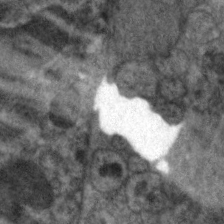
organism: C. elegans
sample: Pharynx